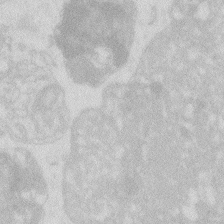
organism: Zebrafish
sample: Macrophage